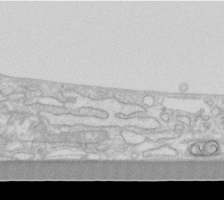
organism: Human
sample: Fibroblast cells